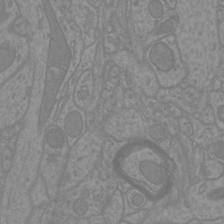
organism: Mouse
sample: Cortical neurons